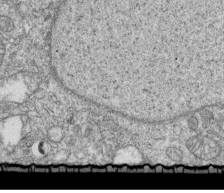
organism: Human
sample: HeLa cell HIV synapse